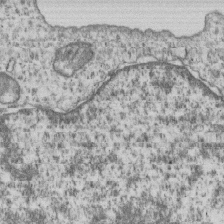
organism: Human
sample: MDA-MB-231 cells